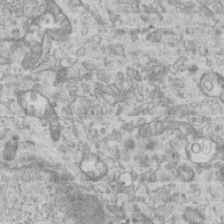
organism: Mouse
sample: Centriole in ependymal cells